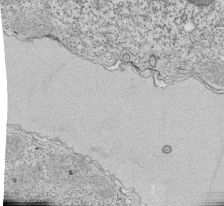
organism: Tetrahymena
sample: Cilia in tetrahymena